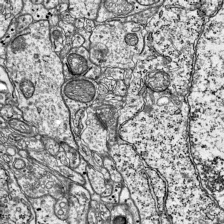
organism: Mouse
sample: Visual Cortex